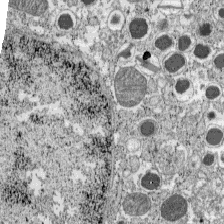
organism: C57BL Mouse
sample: Pancreatic islet